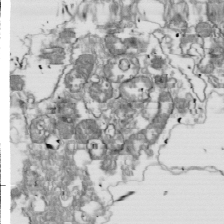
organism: Drosophila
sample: Cell division; meiosis; drosophila spermatocytes